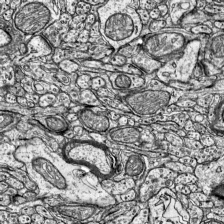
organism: Mouse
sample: Visual Cortex